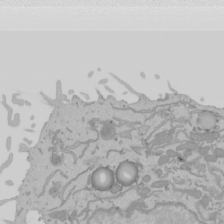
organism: Mouse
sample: Cancer cell death in ED-1 cells